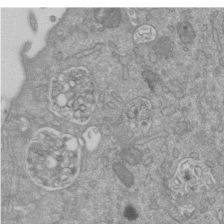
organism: Mouse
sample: ED-1 cell nuclei; centrioles